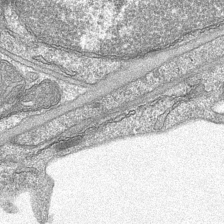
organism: Mouse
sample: CA1 Hippocampus